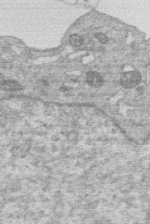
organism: Human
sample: Macrophage cells